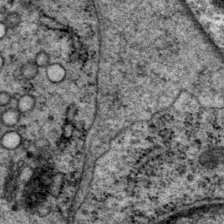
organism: P. pacificus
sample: Pharynx